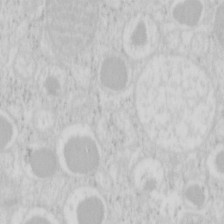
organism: Mouse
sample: Pancreas